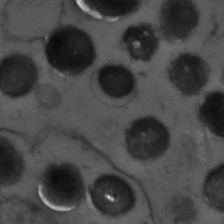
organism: Zebrafish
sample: Zebrafish embryo